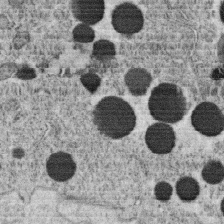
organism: C. elegans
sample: C. elegans oocyte; sperm cells